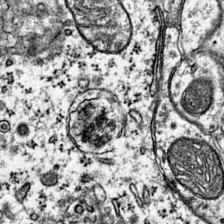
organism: Mouse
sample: Primary visual cortex